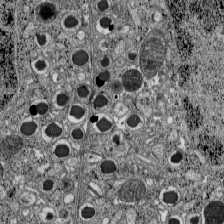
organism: C57BL Mouse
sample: Pancreatic islet